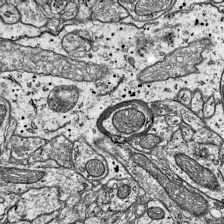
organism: Mouse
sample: Visual Cortex